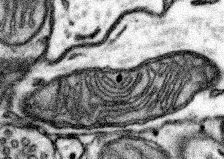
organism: Mouse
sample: Somatosensory cortex neuropil